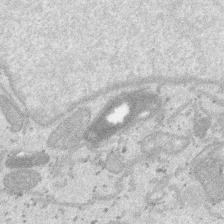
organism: Human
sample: Lung epithelial cells infected with SARS-CoV-2